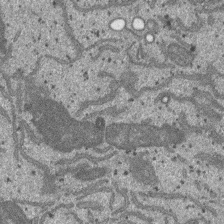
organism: Human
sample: Lung epithelial cells infected with SARS-CoV-2